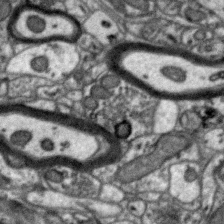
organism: Zebra finch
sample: Brain